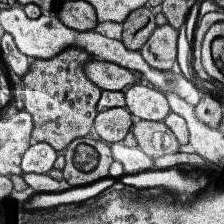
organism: Human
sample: Temporal Lobe